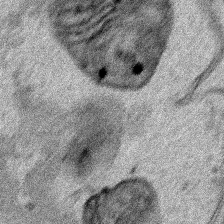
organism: Human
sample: Mitochondria in HCT116 cells